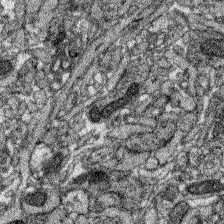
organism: Zebrafish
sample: Larval olfactory bulb